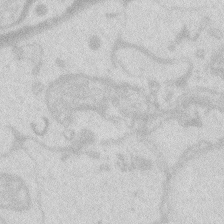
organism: Zebrafish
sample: Macrophage